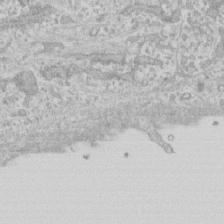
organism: Human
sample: CRL-1474